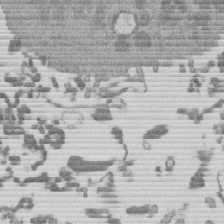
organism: Mouse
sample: Dividing mouse embryo 1 cell stage